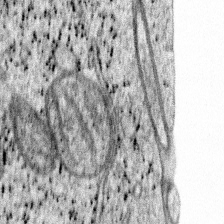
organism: Human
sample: HeLa cells